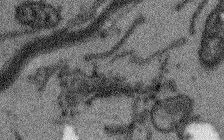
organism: Arabidopsis thaliana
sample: Root tip